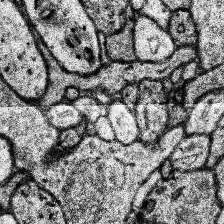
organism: Human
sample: Temporal Lobe